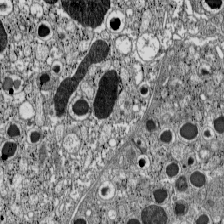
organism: C57BL Mouse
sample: Pancreatic islet